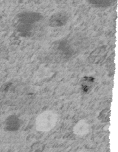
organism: C. elegans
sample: C. elegans embryo early stage